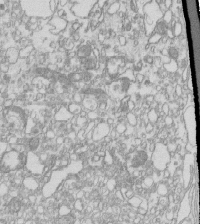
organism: Mouse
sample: Macrophages